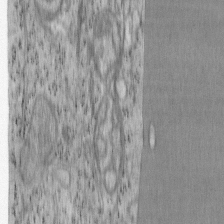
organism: Human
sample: HeLa cells